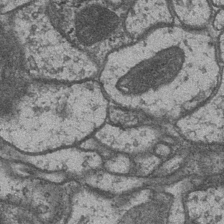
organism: Drosophila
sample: Optic medulla